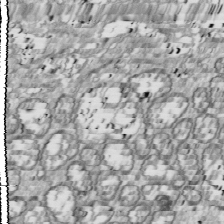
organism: Drosophila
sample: Cell division; meiosis; drosophila spermatocytes